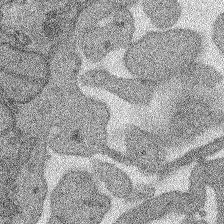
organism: Human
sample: HeLa cells